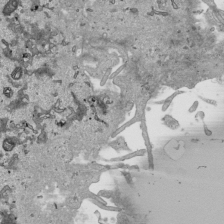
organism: Human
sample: Mitochondria in HCT116 cells